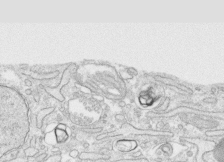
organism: Human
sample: CRL-1474